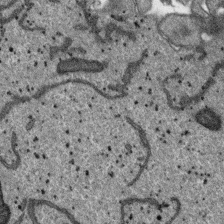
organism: Human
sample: Lung epithelial cells, uninfected (mock) control